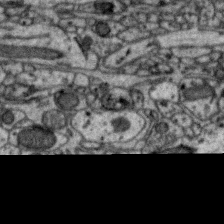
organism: Zebra finch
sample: Brain